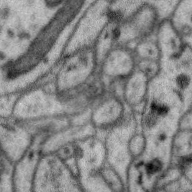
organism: Zebra finch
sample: Brain